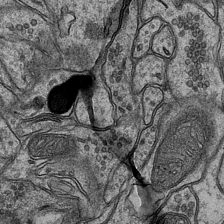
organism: Mouse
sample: CA1 Hippocampus